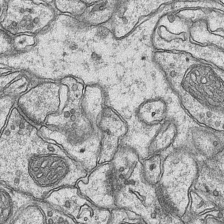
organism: Mouse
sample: CA1 Hippocampus